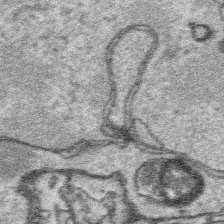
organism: Platynereis dumerilii